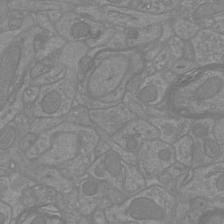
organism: Mouse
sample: Cortical neurons